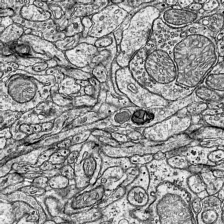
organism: Mouse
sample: Visual Cortex